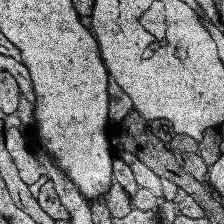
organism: Human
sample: Temporal Lobe